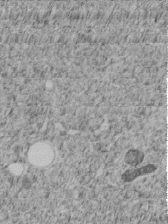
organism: C. elegans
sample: C. elegans embryo early stage